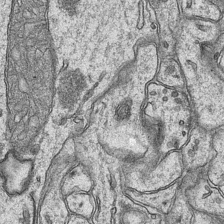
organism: Mouse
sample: CA1 Hippocampus